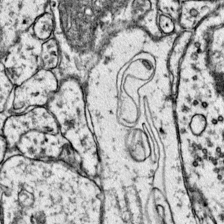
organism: Mouse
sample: Primary visual cortex